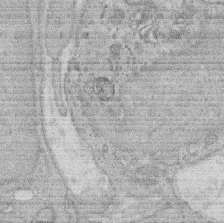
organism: Rat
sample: Salivary granule